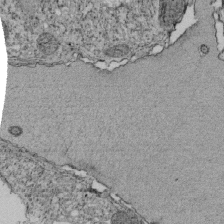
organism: Tetrahymena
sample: Cilia in tetrahymena